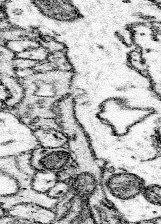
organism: Mouse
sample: Somatosensory cortex neuropil